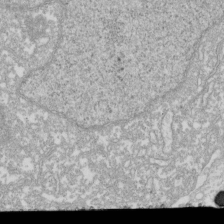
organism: Xenopus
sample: Cilia; centrioles in frog embryo cells